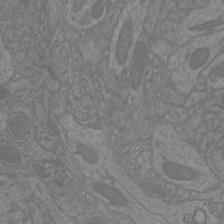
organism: Mouse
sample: Cortical neurons